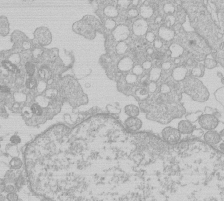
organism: Human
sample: Macrophage cells